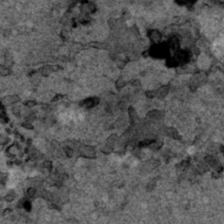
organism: Human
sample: Mitochondria in HCT116 cells